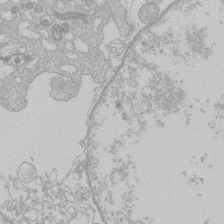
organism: Human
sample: Macrophage cells